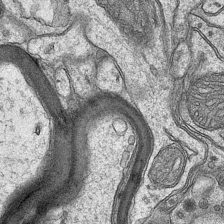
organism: Mouse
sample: CA1 Hippocampus